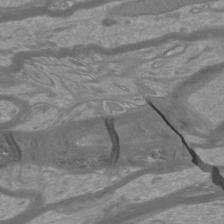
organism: Mouse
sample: Cortical neurons